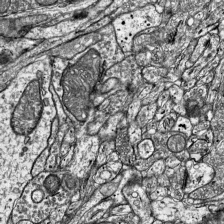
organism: Mouse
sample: Visual Cortex